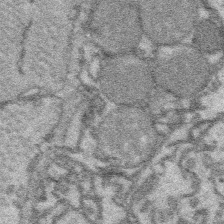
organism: Platynereis dumerilii